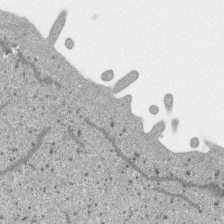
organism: Human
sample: Lung epithelial cells infected with SARS-CoV-2